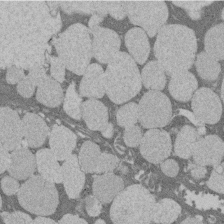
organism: Rat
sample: Salivary granule